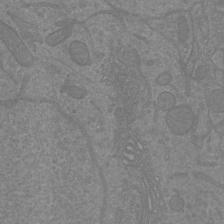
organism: Mouse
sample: Cortical neurons